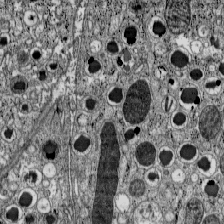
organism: C57BL Mouse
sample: Pancreatic islet